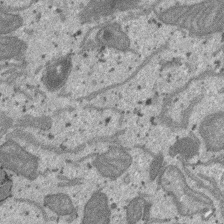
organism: Human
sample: Lung epithelial cells infected with SARS-CoV-2